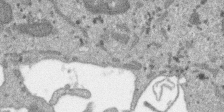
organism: Human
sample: Lung epithelial cells infected with SARS-CoV-2